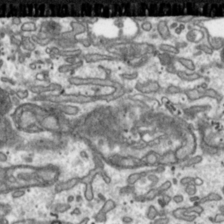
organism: Toxoplasma gondii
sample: Parasites in a vacuole inside a host cell